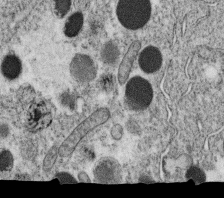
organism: C. elegans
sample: C. elegans oocyte; sperm cells